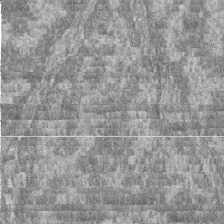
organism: Zebrafish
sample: Cilia; retinal pigment epithelium